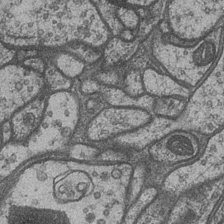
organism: Drosophila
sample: Optic medulla